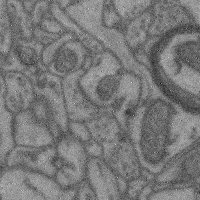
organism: Mouse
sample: Cerebral cortex